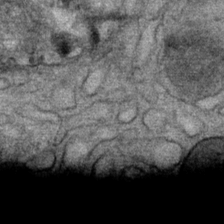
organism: Mouse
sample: Mouse Salivary gland